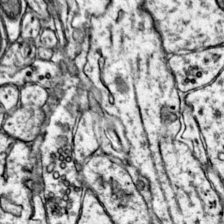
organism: Mouse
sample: Primary visual cortex